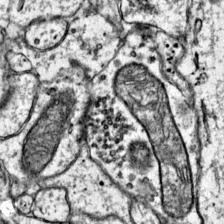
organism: Mouse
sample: Primary visual cortex